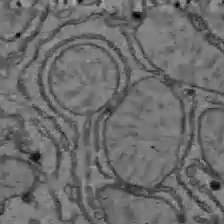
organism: C57BL Mouse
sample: Liver